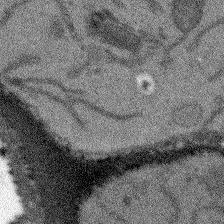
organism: Arabidopsis thaliana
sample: Root tip